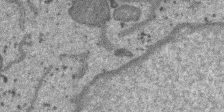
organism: Human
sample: Lung epithelial cells infected with SARS-CoV-2